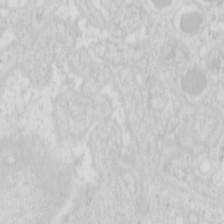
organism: Mouse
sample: Pancreas